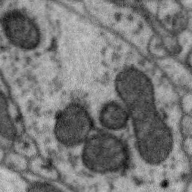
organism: Zebra finch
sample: Brain